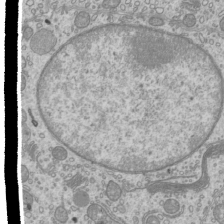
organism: Mouse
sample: Cilia; mouse epididymis